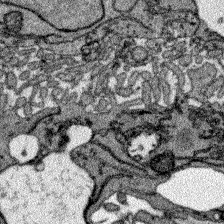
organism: Zebrafish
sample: Larval olfactory bulb